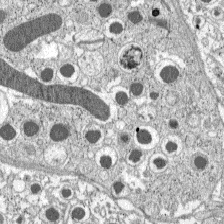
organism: C57BL Mouse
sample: Pancreatic islet